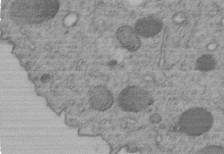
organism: C. elegans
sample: C. elegans embryo early stage